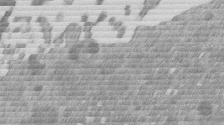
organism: Mouse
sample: Dividing mouse embryo 1 cell stage